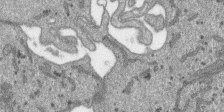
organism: Human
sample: Lung epithelial cells infected with SARS-CoV-2